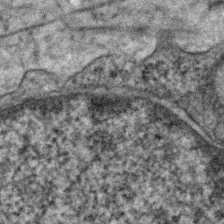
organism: Human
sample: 1205lu cells